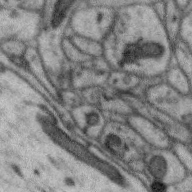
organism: Zebra finch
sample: Brain